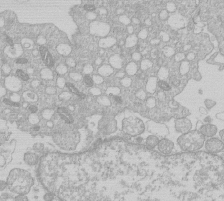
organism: Human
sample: Macrophage cells